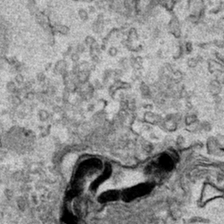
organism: Human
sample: Mitochondria in HCT116 cells